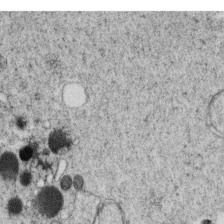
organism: C. elegans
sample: C. elegans oocyte; sperm cells